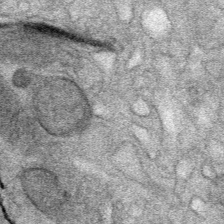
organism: Mouse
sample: Mouse Salivary gland